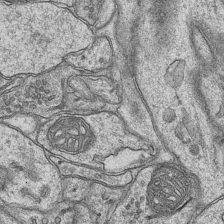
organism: Mouse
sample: CA1 Hippocampus